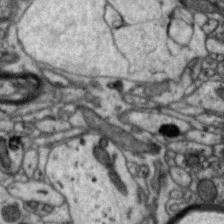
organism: Zebra finch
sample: Brain